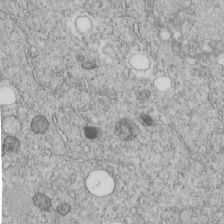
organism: C. elegans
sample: C. elegans embryo early stage